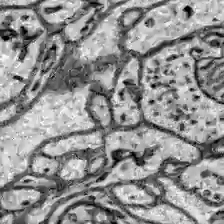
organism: Zebrafish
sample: Brain